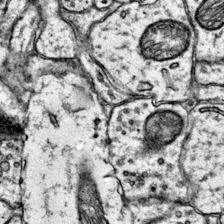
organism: Mouse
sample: Primary visual cortex